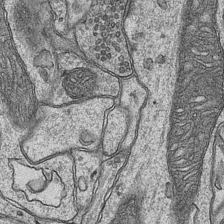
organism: Mouse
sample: CA1 Hippocampus